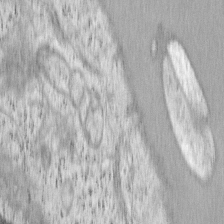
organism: Human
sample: HeLa cells